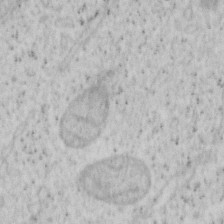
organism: Human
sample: HeLa cells